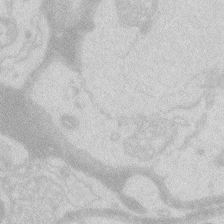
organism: Zebrafish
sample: Macrophage